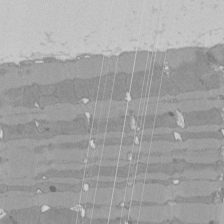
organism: Rat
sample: Left ventricle